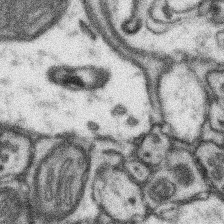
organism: Mouse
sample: Somatosensory cortex neuropil